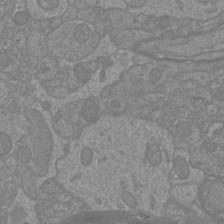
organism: Mouse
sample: Cortical neurons